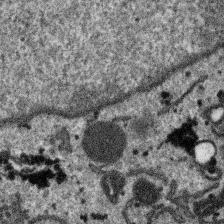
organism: Human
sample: Lung epithelial cells infected with SARS-CoV-2